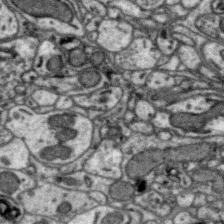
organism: Zebra finch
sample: Brain